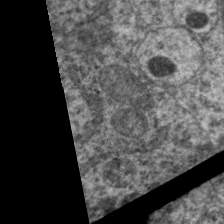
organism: C. elegans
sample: Pharynx